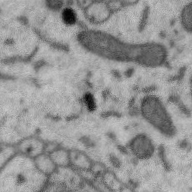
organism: Zebra finch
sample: Brain